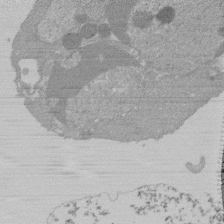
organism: Mouse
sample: Activated Pmel transgenic CD8+ T Cells